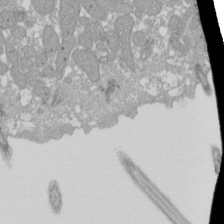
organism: Xenopus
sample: Cilia; centrioles in frog embryo cells